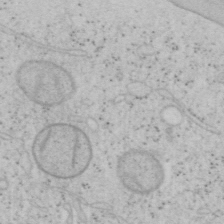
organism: Human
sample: HeLa cells